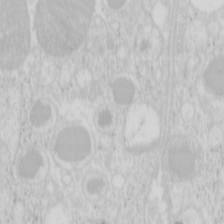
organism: Mouse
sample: Pancreas